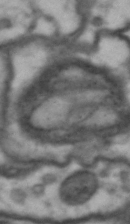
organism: Drosophila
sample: Brain